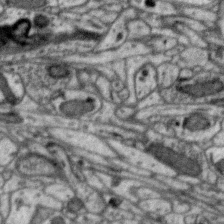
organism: Zebra finch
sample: Brain